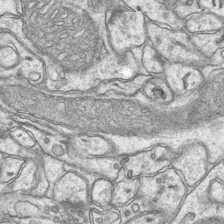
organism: Mouse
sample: CA1 Hippocampus